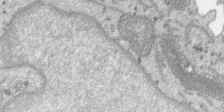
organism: Human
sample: Lung epithelial cells infected with SARS-CoV-2